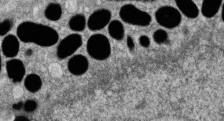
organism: Zebrafish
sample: Cilia; retinal pigment epithelium